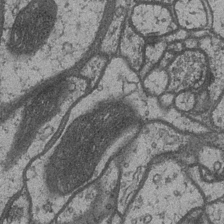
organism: Drosophila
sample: Optic medulla